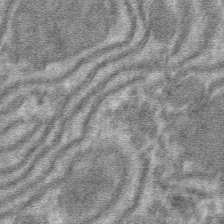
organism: Mouse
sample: Mouse hepatocytes